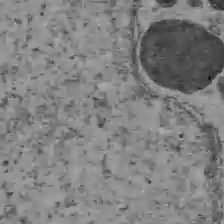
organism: C57BL Mouse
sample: Liver